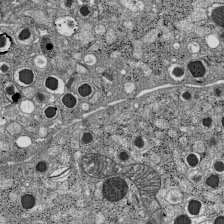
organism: C57BL Mouse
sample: Pancreatic islet